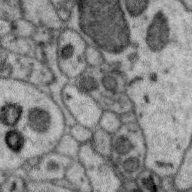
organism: Zebra finch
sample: Brain